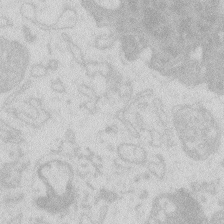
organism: Zebrafish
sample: Macrophage